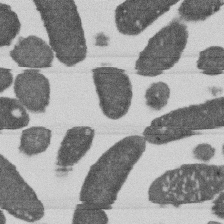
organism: E. coli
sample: Bacterial nucleoid